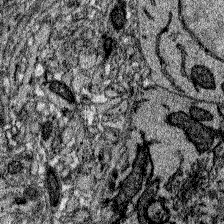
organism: Zebrafish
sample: Larval olfactory bulb